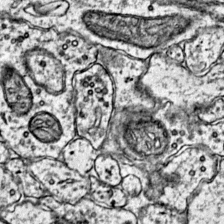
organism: Mouse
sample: Primary visual cortex